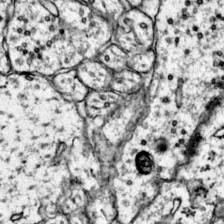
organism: Mouse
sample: Primary visual cortex